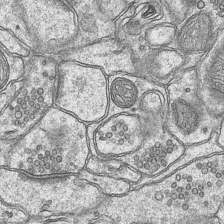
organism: Mouse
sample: CA1 Hippocampus